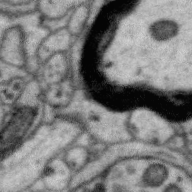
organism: Zebra finch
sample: Brain